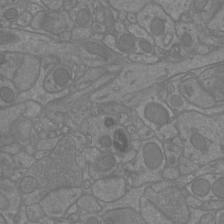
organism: Mouse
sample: Cortical neurons